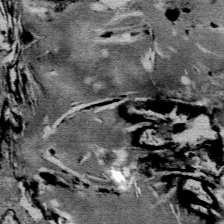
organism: Mouse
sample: Mouse Salivary gland